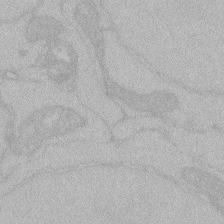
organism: Zebrafish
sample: Macrophage infected with Toxoplasma gondii